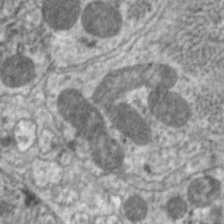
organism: C. elegans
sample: Pharynx